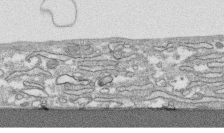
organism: Human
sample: CRL-1474